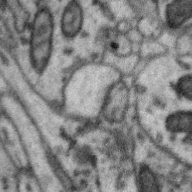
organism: Zebra finch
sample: Brain